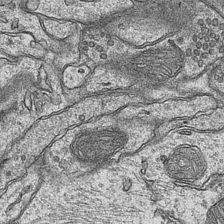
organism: Mouse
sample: CA1 Hippocampus